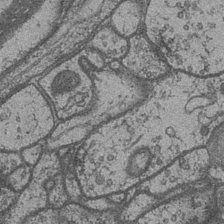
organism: Drosophila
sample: Optic medulla